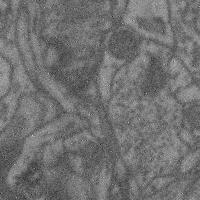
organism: Mouse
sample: Cerebral cortex